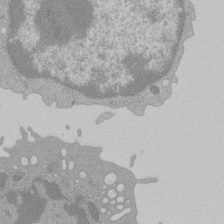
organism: Mouse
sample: Activated Pmel transgenic CD8+ T Cells